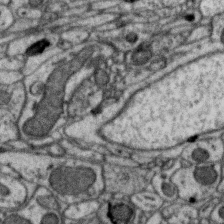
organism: Zebra finch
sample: Brain